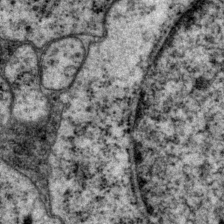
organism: P. pacificus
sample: Pharynx